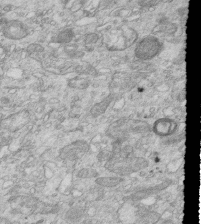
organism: Mouse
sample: Multiciliated cells